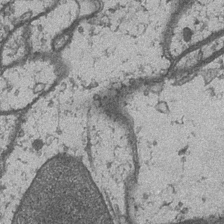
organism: Drosophila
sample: Optic medulla